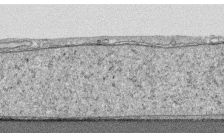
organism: Human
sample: CRL-1474